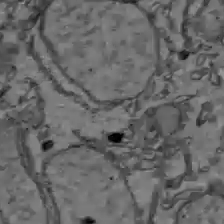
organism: C57BL Mouse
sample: Liver